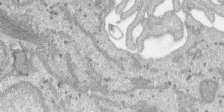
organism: Human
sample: Lung epithelial cells infected with SARS-CoV-2